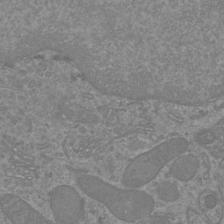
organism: Mouse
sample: Cortical neurons